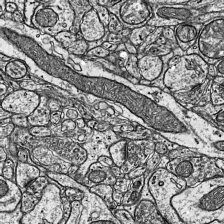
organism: Mouse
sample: Visual Cortex